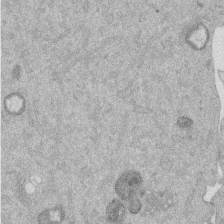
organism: Mouse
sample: Dividing mouse embryo 1 cell stage